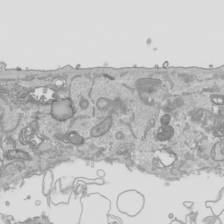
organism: Human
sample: Mitochondria in HCT116 cells